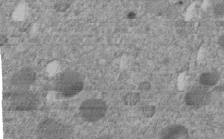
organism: C. elegans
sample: C. elegans embryo early stage